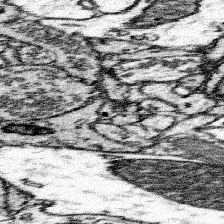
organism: Mouse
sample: Somatosensory cortex neuropil